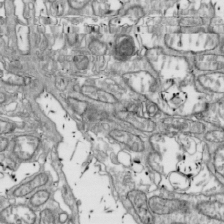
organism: Drosophila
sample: Cell division; meiosis; drosophila spermatocytes